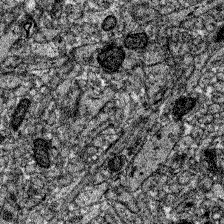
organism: Zebrafish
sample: Larval olfactory bulb